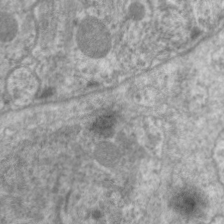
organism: C. elegans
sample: Pharynx